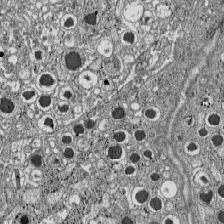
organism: C57BL Mouse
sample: Pancreatic islet